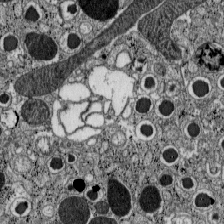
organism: C57BL Mouse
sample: Pancreatic islet